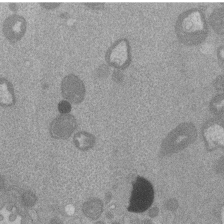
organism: Mouse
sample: Dividing mouse embryo 1 cell stage